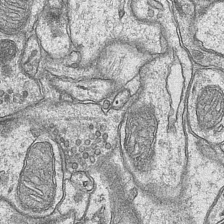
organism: Mouse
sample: CA1 Hippocampus